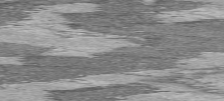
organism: C57BL Mouse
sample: Heart